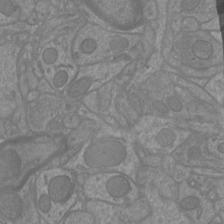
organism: Mouse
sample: Cortical neurons